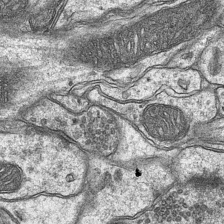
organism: Mouse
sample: CA1 Hippocampus